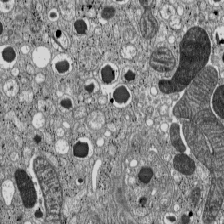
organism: C57BL Mouse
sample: Pancreatic islet